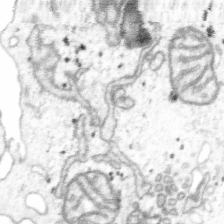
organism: Human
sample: HeLa cells